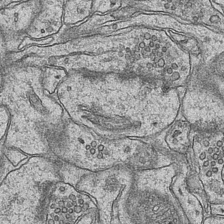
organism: Mouse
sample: CA1 Hippocampus